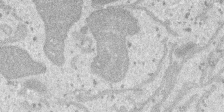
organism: Human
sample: Lung epithelial cells infected with SARS-CoV-2